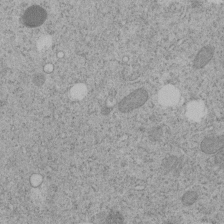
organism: C. elegans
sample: C. elegans embryo early stage